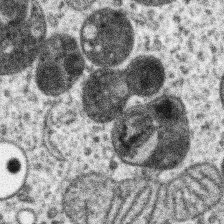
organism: Human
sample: HeLa cells